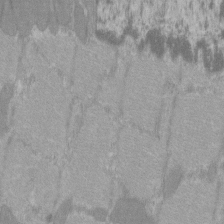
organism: C57BL Mouse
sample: Tibialis anterior muscle cell